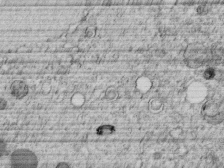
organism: C. elegans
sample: C. elegans embryo early stage